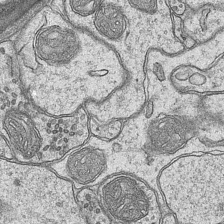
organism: Mouse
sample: CA1 Hippocampus